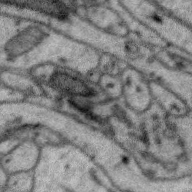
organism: Zebra finch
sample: Brain